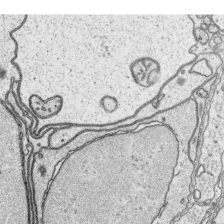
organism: Platynereis dumerilii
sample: Parapodia